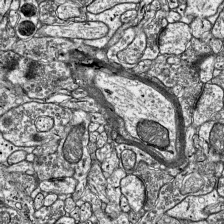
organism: Mouse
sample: Visual Cortex